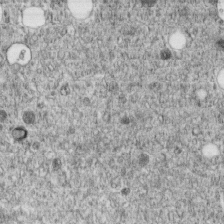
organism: C. elegans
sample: C. elegans embryo early stage